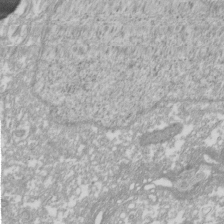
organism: Xenopus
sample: Cilia; centrioles in frog embryo cells